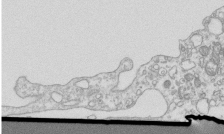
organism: Mouse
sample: Macrophages